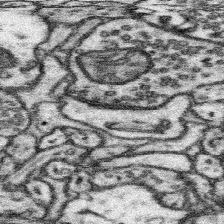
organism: Mouse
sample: Somatosensory cortex neuropil